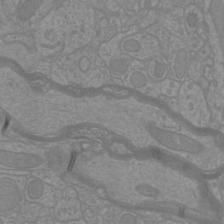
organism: Mouse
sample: Cortical neurons